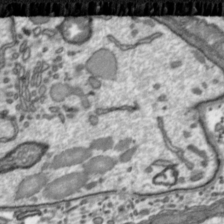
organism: Toxoplasma gondii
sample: Parasites in a vacuole inside a host cell